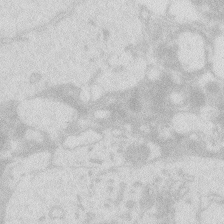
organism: Zebrafish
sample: Macrophage